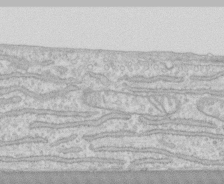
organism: Human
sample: CRL-1474